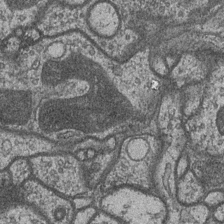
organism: Drosophila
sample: Optic medulla